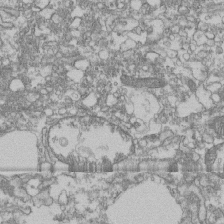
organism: Human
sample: Fibroblast cells